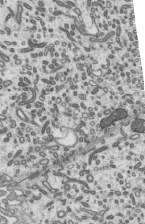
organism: Mouse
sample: Mouse epididymis efferent ductule cilia